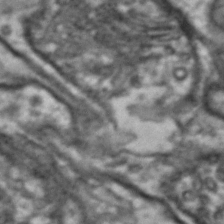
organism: Drosophila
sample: Brain